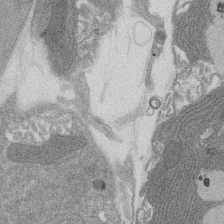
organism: Rat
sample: Salivary granule